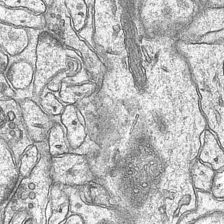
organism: Mouse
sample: CA1 Hippocampus